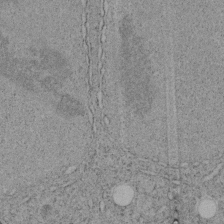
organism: C. elegans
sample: C. elegans embryo early stage